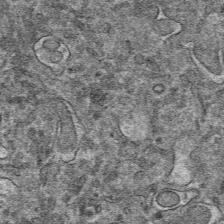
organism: Mouse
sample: Mouse hepatocytes